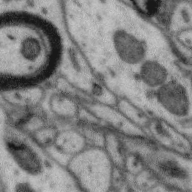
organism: Zebra finch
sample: Brain